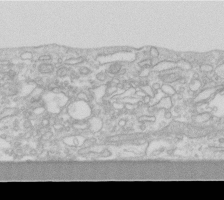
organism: Human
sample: Fibroblast cells